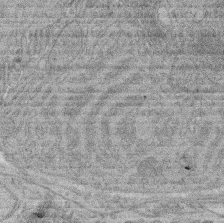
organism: Rat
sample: Salivary granule